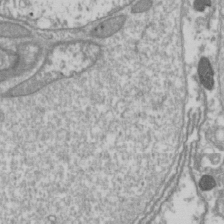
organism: Drosophila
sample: Cell division; meiosis; drosophila spermatocytes